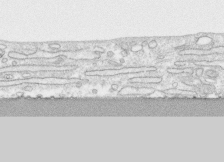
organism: Human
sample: CRL-1474